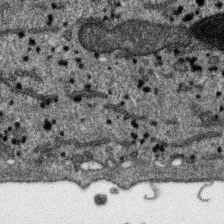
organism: Human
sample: Lung epithelial cells infected with SARS-CoV-2